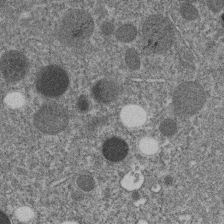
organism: C. elegans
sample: C. elegans embryo early stage